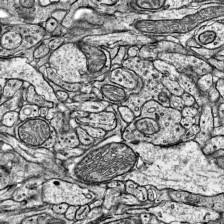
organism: Mouse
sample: Visual Cortex